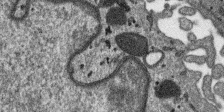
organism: Human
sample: Lung epithelial cells infected with SARS-CoV-2